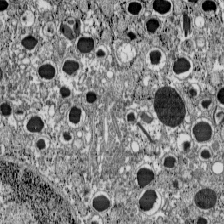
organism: C57BL Mouse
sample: Pancreatic islet